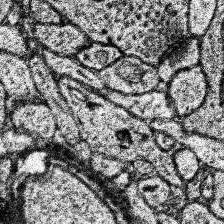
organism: Human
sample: Temporal Lobe